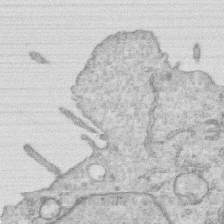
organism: Human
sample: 1205lu cells